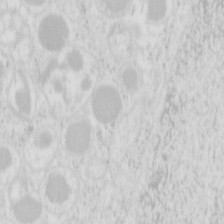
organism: Mouse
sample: Pancreas